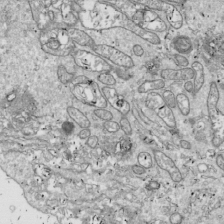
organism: Drosophila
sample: Cell division; meiosis; drosophila spermatocytes